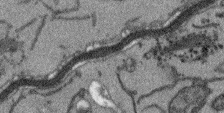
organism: Arabidopsis thaliana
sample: Root tip